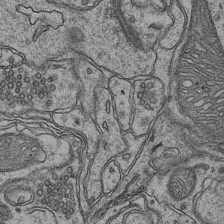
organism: Mouse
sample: CA1 Hippocampus